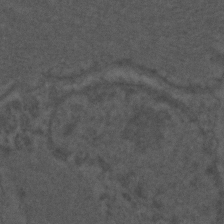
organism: C. elegans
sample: C. elegans embryo